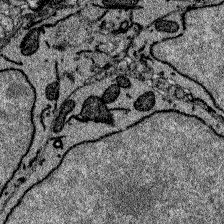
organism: Zebrafish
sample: Larval olfactory bulb